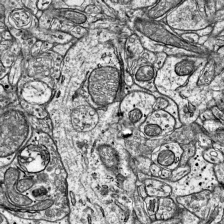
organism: Mouse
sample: Visual Cortex